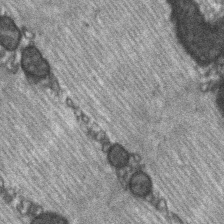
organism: C57BL Mouse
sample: Soleus